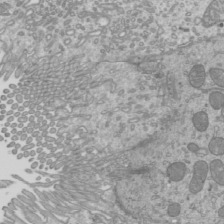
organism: Mouse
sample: Cilia; mouse epididymis